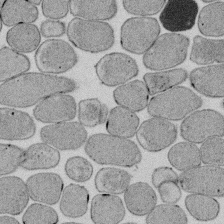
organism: E. coli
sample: Bacterial nucleoid